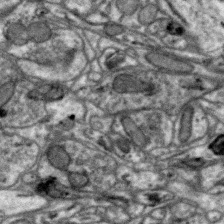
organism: Zebra finch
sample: Brain